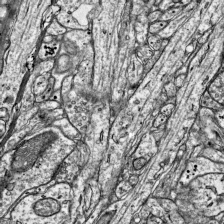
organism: Mouse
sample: Visual Cortex